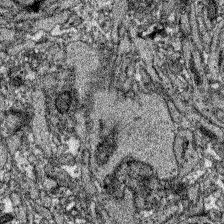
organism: Zebrafish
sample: Larval olfactory bulb